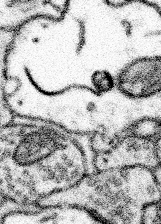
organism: Mouse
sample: Somatosensory cortex neuropil